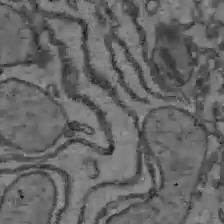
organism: C57BL Mouse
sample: Liver